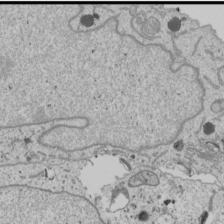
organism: Human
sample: Mitochondria in U2OS cells